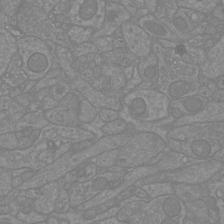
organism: Mouse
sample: Cortical neurons